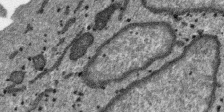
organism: Human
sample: Lung epithelial cells, uninfected (mock) control